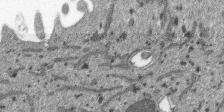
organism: Human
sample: Lung epithelial cells infected with SARS-CoV-2